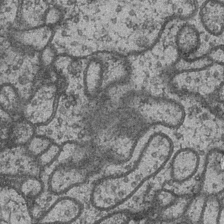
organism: Drosophila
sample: Optic medulla